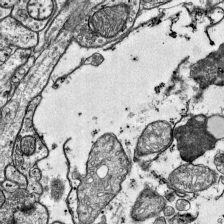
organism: Mouse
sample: Visual Cortex